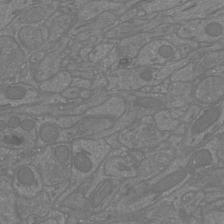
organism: Mouse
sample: Cortical neurons